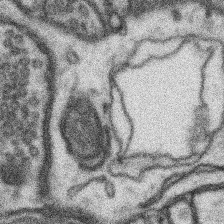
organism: Mouse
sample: Somatosensory cortex neuropil